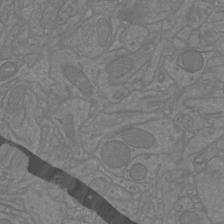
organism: Mouse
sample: Cortical neurons